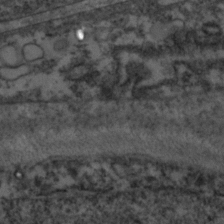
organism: Zebrafish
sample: Zebrafish embryo